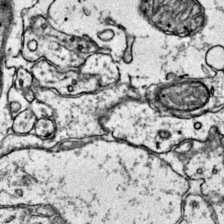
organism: Mouse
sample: Primary visual cortex